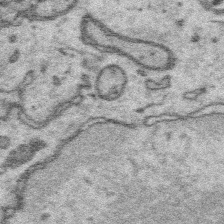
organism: Platynereis dumerilii